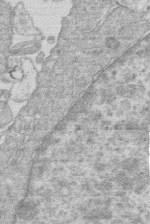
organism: Human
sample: Macrophage cells